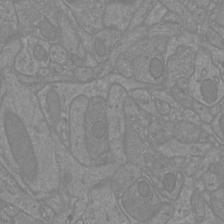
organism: Mouse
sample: Cortical neurons